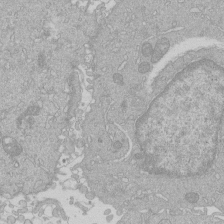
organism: Human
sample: Macrophage cells